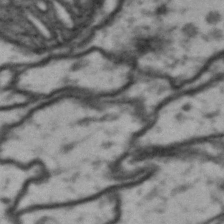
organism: Drosophila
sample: Brain